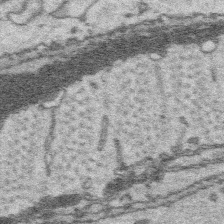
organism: Platynereis dumerilii